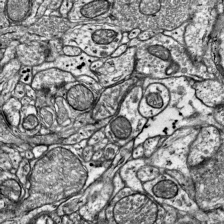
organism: Mouse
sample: Visual Cortex